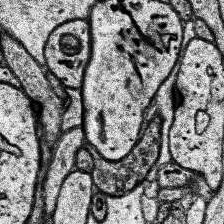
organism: Human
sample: Temporal Lobe